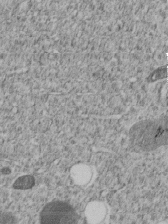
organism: C. elegans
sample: C. elegans embryo early stage